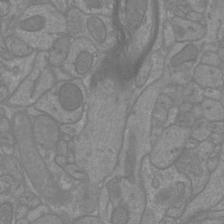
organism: Mouse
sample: Cortical neurons